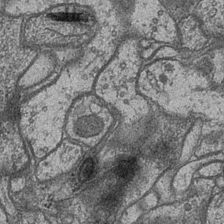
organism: Drosophila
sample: Optic medulla